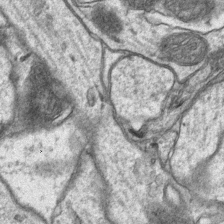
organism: Mouse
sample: CA1 Hippocampus